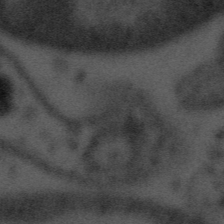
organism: Tuwongella immobilis